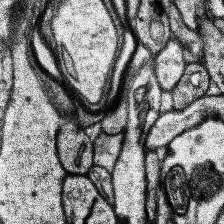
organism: Human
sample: Temporal Lobe